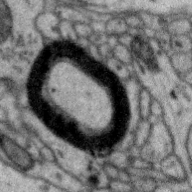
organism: Zebra finch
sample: Brain